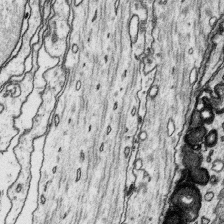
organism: Platynereis dumerilii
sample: Parapodia